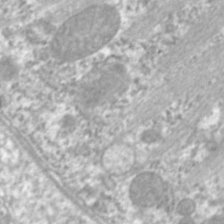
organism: C. elegans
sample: Pharynx